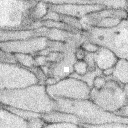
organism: Rabbit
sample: Retina